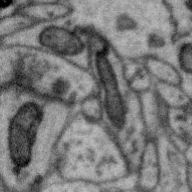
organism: Zebra finch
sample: Brain